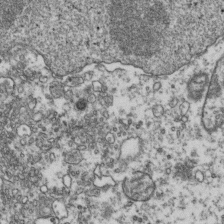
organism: Human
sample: Activated Jurkat CD4+ T cells